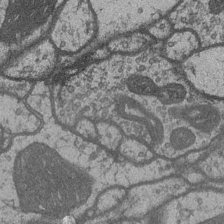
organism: Drosophila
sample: Optic medulla